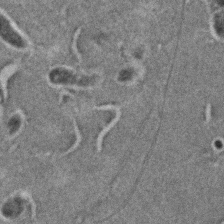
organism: C. elegans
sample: C. elegans embryo